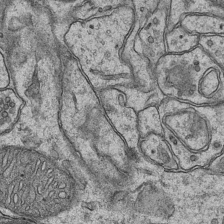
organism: Mouse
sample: CA1 Hippocampus